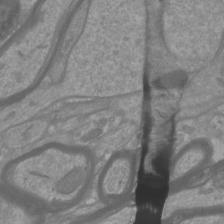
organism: Mouse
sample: Cortical neurons